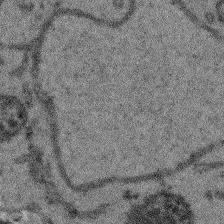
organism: Arabidopsis thaliana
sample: Root tip